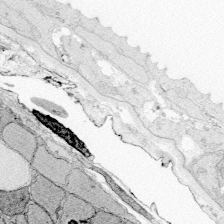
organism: Zebrafish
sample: Whole-Brain